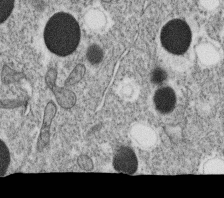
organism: C. elegans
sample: C. elegans oocyte; sperm cells